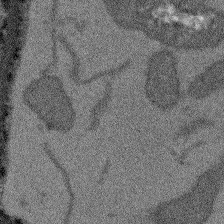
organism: Arabidopsis thaliana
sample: Root tip